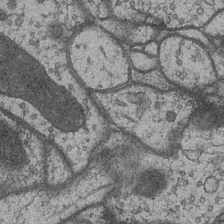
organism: Drosophila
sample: Optic medulla